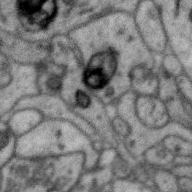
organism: Zebra finch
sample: Brain